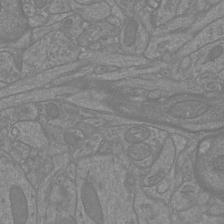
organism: Mouse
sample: Cortical neurons